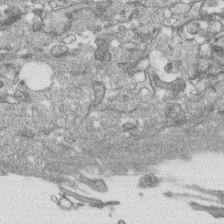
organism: Human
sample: CRL-1474